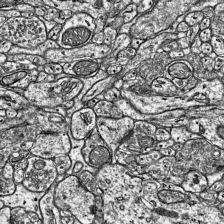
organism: Mouse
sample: Visual Cortex